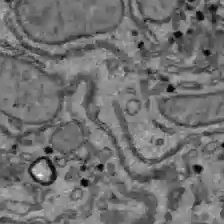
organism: C57BL Mouse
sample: Liver